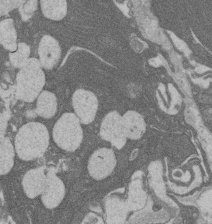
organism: Rat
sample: Salivary granule